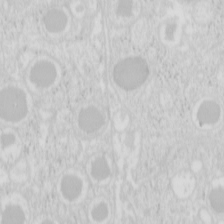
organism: Mouse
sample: Pancreas